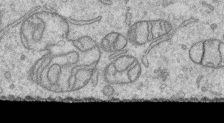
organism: Human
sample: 1205lu cells